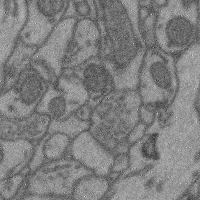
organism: Mouse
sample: Cerebral cortex